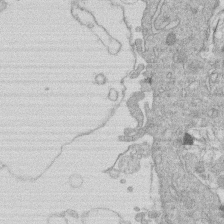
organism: Human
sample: Macrophage cells